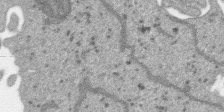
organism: Human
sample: Lung epithelial cells infected with SARS-CoV-2